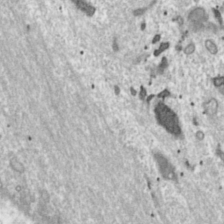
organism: Toxoplasma gondii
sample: Parasites in a vacuole inside a host cell